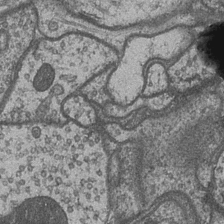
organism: Drosophila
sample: Optic medulla